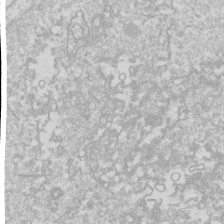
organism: Drosophila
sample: Cell division; meiosis; drosophila spermatocytes